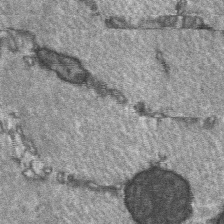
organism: C57BL Mouse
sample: Soleus